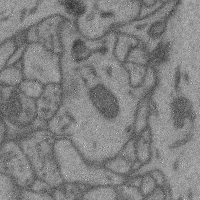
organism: Mouse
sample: Cerebral cortex